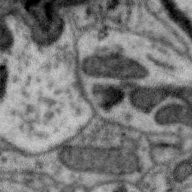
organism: Zebra finch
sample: Brain